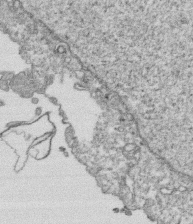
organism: Human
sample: HeLa cell HIV synapse